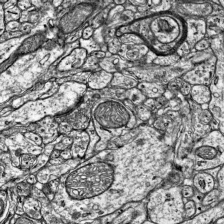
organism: Mouse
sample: Visual Cortex